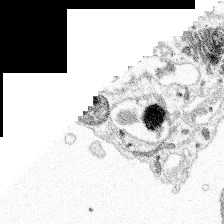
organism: Spongilla lacustris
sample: Multiple